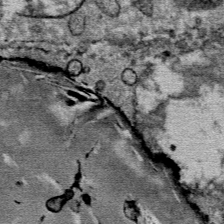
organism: Mouse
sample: Mouse Salivary gland